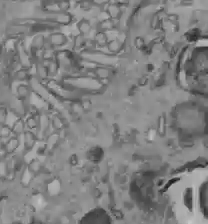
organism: C57BL Mouse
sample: Liver